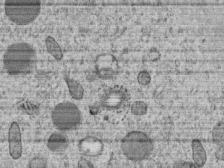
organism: C. elegans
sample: C. elegans embryo early stage